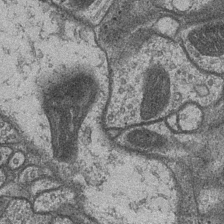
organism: Drosophila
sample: Optic medulla